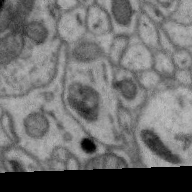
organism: Zebra finch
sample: Brain